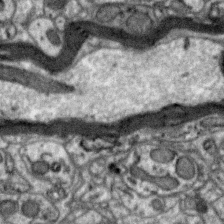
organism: Zebra finch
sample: Brain